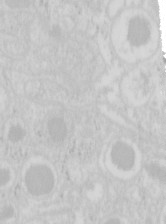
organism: Mouse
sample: Pancreas